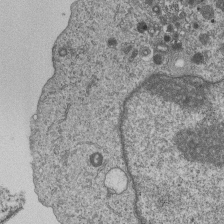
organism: Human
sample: MDA-MB-231 cells